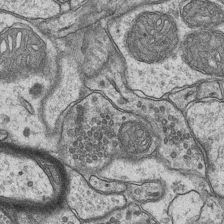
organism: Mouse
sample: CA1 Hippocampus